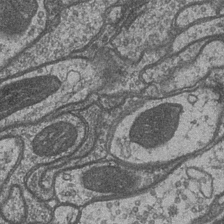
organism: Drosophila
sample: Optic medulla